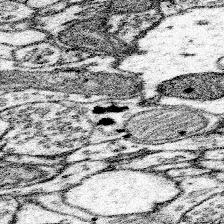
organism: Mouse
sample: Somatosensory cortex neuropil